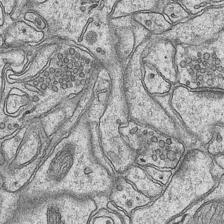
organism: Mouse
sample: CA1 Hippocampus